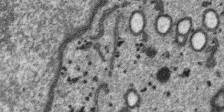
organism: Human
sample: Lung epithelial cells infected with SARS-CoV-2